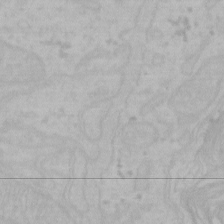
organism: Mouse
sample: Choroid plexus